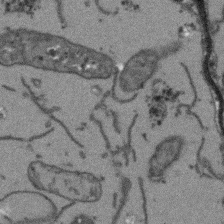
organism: Arabidopsis thaliana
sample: Root tip